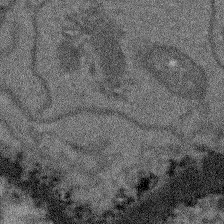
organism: Arabidopsis thaliana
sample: Root tip